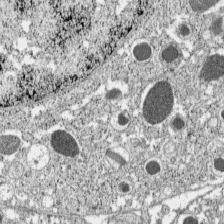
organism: C57BL Mouse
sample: Pancreatic islet